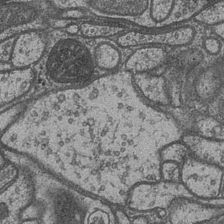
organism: Drosophila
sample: Optic medulla